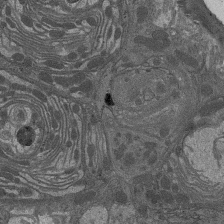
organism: Drosophila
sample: Antenna